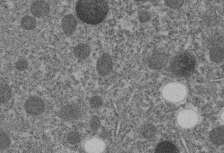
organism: C. elegans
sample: C. elegans embryo early stage